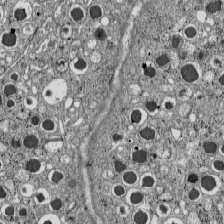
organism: C57BL Mouse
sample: Pancreatic islet